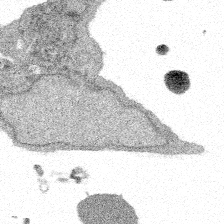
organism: Spongilla lacustris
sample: Multiple